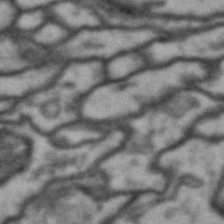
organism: Drosophila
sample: Brain